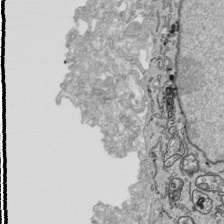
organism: Human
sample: Mitochondria in HCT116 cells